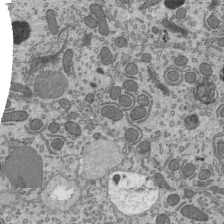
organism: Mouse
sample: Mouse epididymis efferent ductule cilia